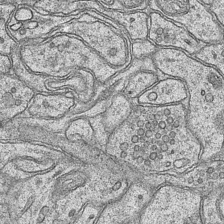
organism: Mouse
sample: CA1 Hippocampus